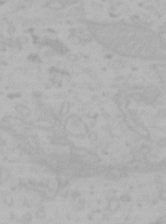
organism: Mouse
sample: Choroid plexus